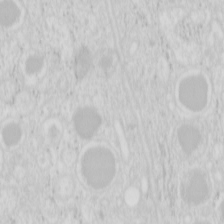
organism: Mouse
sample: Pancreas